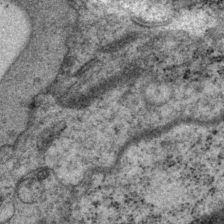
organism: P. pacificus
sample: Pharynx